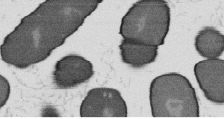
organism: B. subtilis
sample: Bacterial spore